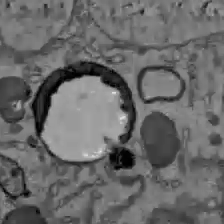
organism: C57BL Mouse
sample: Liver